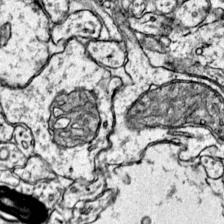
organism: Mouse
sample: Primary visual cortex